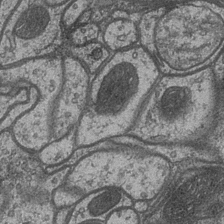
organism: Drosophila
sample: Optic medulla